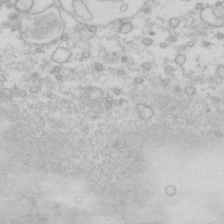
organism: Human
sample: Fibroblast cells